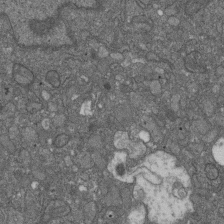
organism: Drosophila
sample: Nephrocyte